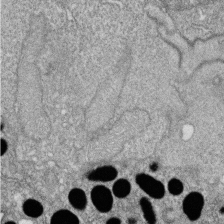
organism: Zebrafish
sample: Cilia; retinal pigment epithelium